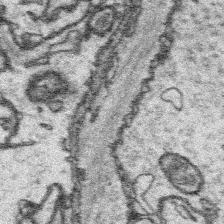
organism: Platynereis dumerilii